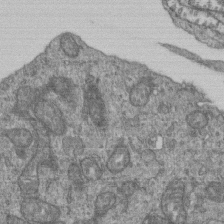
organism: Human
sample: Retinal organoid Rod and Cone cells